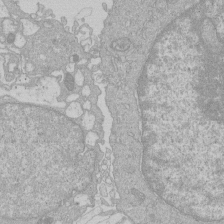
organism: Human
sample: Macrophage cells